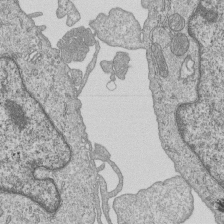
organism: Human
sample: MDA-MB-231 cells